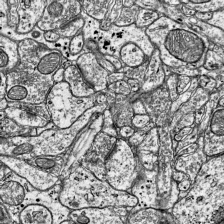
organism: Mouse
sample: Visual Cortex